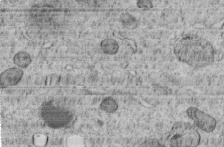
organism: C. elegans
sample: C. elegans embryo early stage